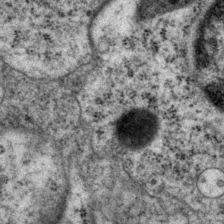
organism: P. pacificus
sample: Pharynx